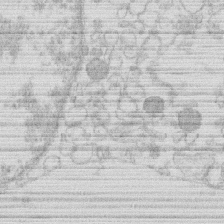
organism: Human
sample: Macrophage cells